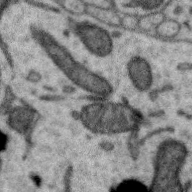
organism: Zebra finch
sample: Brain